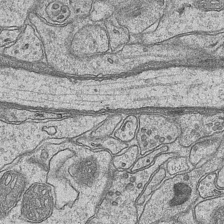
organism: Mouse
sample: CA1 Hippocampus